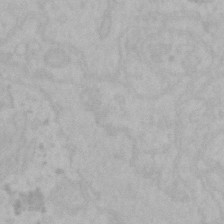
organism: Mouse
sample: Choroid plexus